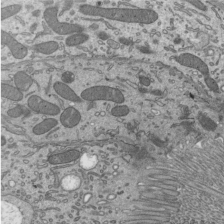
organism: Mouse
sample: Mouse epididymis efferent ductule cilia